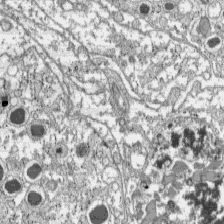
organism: C57BL Mouse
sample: Pancreatic islet